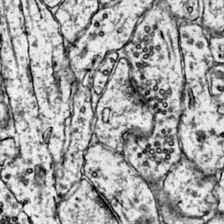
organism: Mouse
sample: Primary visual cortex